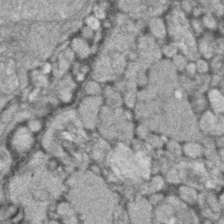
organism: Zebrafish